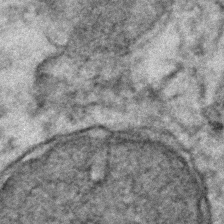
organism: Human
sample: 1205lu cells